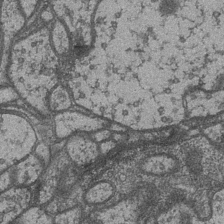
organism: Drosophila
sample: Optic medulla